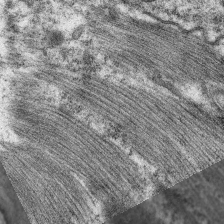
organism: C. elegans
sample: Pharynx